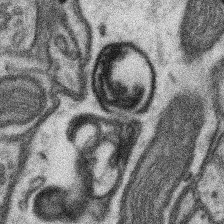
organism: Mouse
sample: Somatosensory cortex neuropil